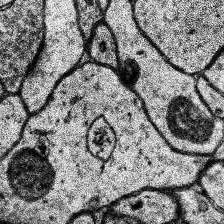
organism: Human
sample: Temporal Lobe